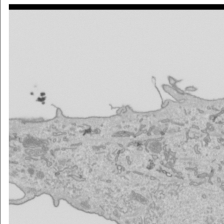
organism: Human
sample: Mitochondria in HCT116 cells